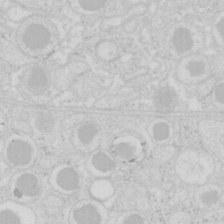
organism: Mouse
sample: Pancreas